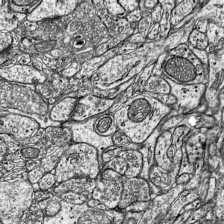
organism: Mouse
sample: Visual Cortex